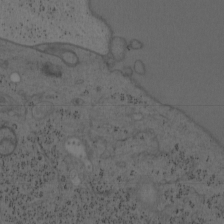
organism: Mouse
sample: OT-I killer T cells with ID8 ovarian cancer cells